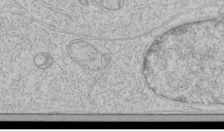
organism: Human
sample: Mitochondria in HCT116 cells